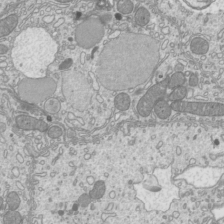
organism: Mouse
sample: Cilia; mouse epididymis